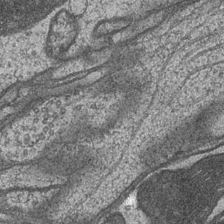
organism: Drosophila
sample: Optic medulla